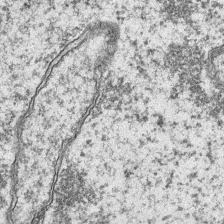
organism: Mouse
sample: CA1 Hippocampus